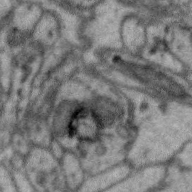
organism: Zebra finch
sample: Brain